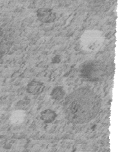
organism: C. elegans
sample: C. elegans embryo early stage